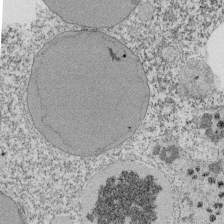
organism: Tetrahymena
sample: Cilia in tetrahymena